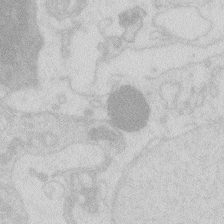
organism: Zebrafish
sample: Macrophage